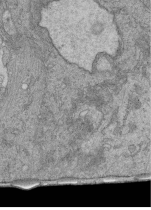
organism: Human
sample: Retinal organoid Rod and Cone cells